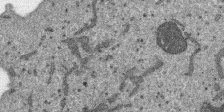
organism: Human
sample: Lung epithelial cells infected with SARS-CoV-2